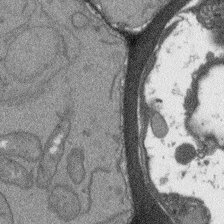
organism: Arabidopsis thaliana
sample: Root tip